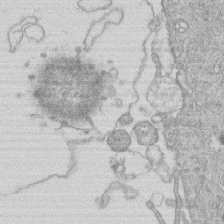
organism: Human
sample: Macrophage cells